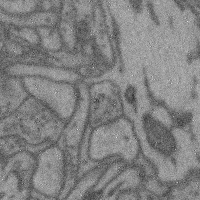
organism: Mouse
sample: Cerebral cortex